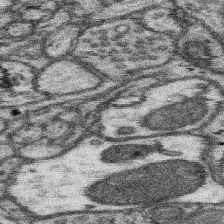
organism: Mouse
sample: Somatosensory cortex neuropil